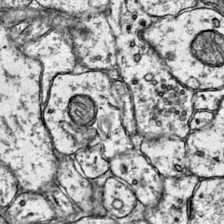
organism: Mouse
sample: Primary visual cortex